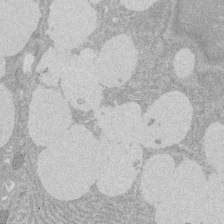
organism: Rat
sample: Salivary granule